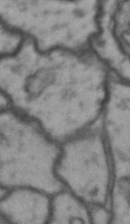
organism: Drosophila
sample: Brain